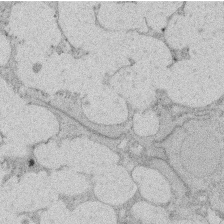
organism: Rat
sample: Salivary granule